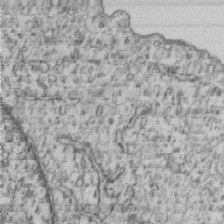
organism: Human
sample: MDA-MB-231 cells